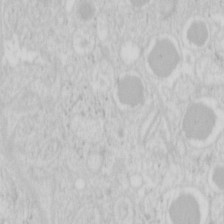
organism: Mouse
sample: Pancreas